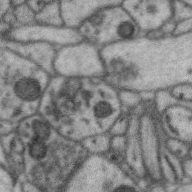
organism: Zebra finch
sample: Brain